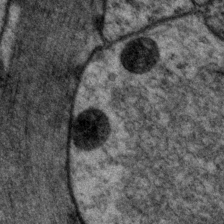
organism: P. pacificus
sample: Pharynx